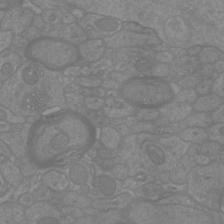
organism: Mouse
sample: Cortical neurons